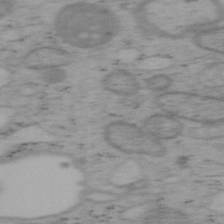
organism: Mouse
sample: OT-I killer T cells with ID8 ovarian cancer cells